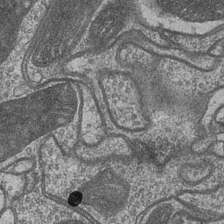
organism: Drosophila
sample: Optic medulla